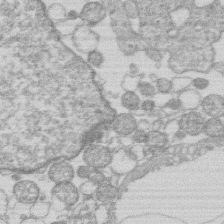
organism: Human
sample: Macrophage cells